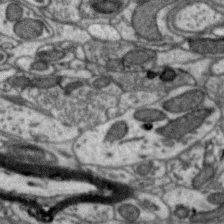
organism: Zebra finch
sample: Brain